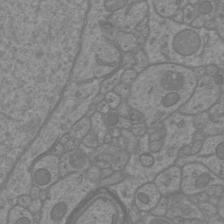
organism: Mouse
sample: Cortical neurons